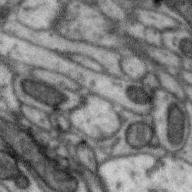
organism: Zebra finch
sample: Brain